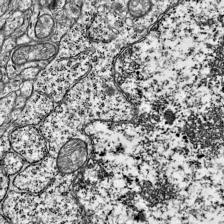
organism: Mouse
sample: Visual Cortex